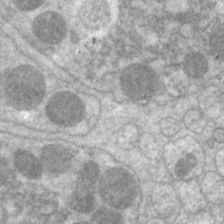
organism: C. elegans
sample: Pharynx